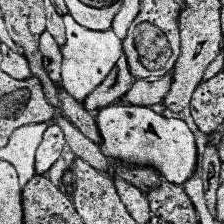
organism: Human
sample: Temporal Lobe